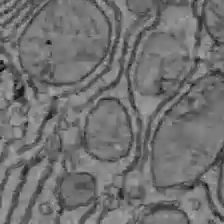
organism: C57BL Mouse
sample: Liver